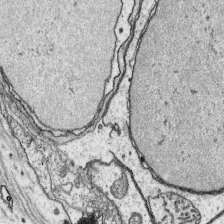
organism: Platynereis dumerilii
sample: Parapodia